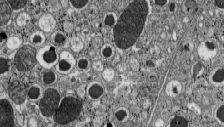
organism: C57BL Mouse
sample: Pancreatic islet